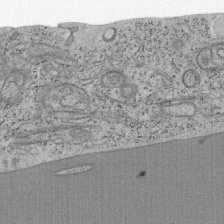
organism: Human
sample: HeLa cells